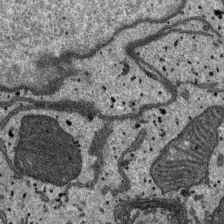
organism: Human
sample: Lung epithelial cells, uninfected (mock) control